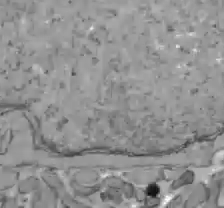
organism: C57BL Mouse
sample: Liver